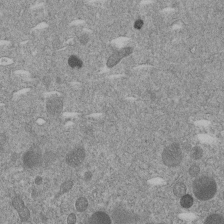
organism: C. elegans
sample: C. elegans embryo early stage